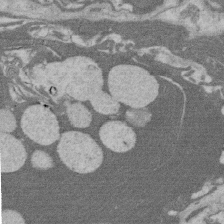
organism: Rat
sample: Salivary granule